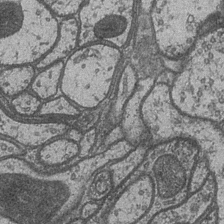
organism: Drosophila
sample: Optic medulla